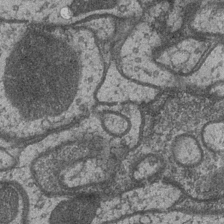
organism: Drosophila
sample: Optic medulla